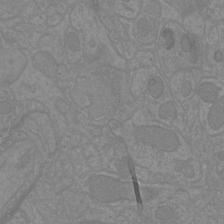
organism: Mouse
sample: Cortical neurons